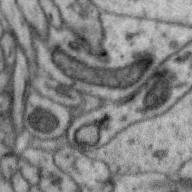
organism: Zebra finch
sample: Brain